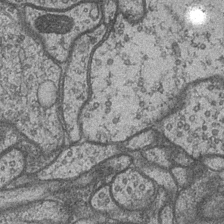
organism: Drosophila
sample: Optic medulla